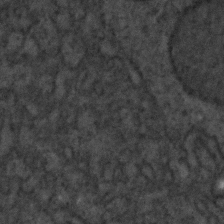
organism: C. elegans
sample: C. elegans embryo